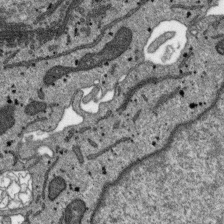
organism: Human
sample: Lung epithelial cells, uninfected (mock) control